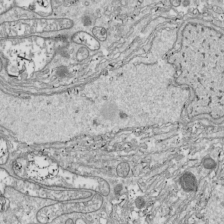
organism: Drosophila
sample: Cell division; meiosis; drosophila spermatocytes